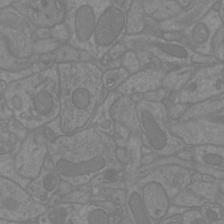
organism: Mouse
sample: Cortical neurons